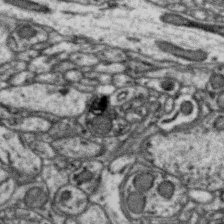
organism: Zebra finch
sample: Brain